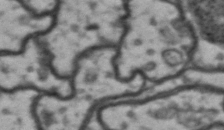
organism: Drosophila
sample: Brain